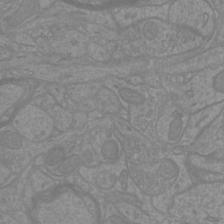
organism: Mouse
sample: Cortical neurons